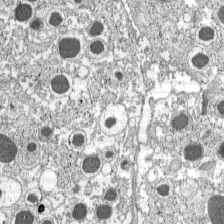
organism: C57BL Mouse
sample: Pancreatic islet